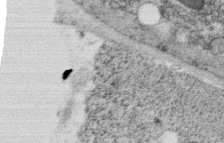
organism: C. elegans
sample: C. elegans oocyte; sperm cells